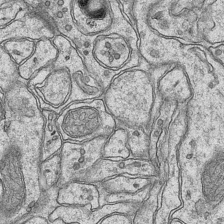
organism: Mouse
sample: CA1 Hippocampus